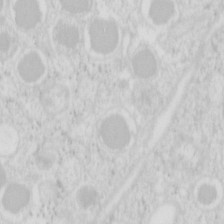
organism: Mouse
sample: Pancreas